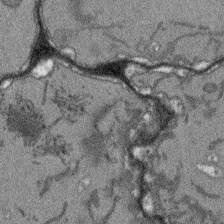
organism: Arabidopsis thaliana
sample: Root tip